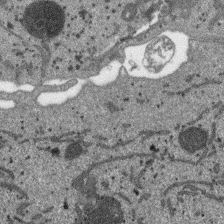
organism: Human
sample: Lung epithelial cells infected with SARS-CoV-2